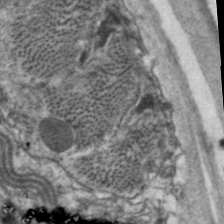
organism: C. elegans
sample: Pharynx